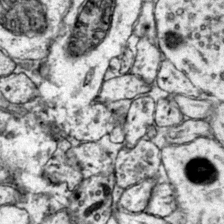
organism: Mouse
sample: Primary visual cortex